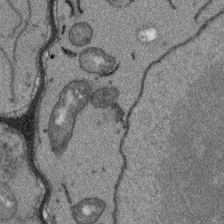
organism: Arabidopsis thaliana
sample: Root tip